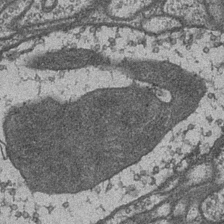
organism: Drosophila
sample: Optic medulla